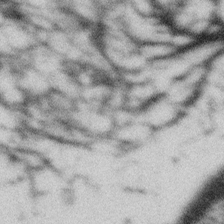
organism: Gemmata obscuriglobus